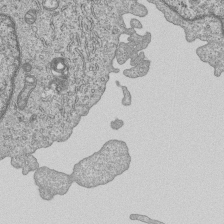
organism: Human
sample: MDA-MB-231 cells